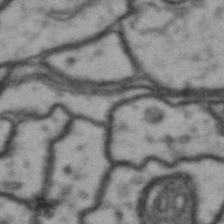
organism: Drosophila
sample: Brain